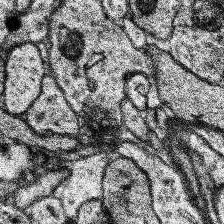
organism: Human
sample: Temporal Lobe